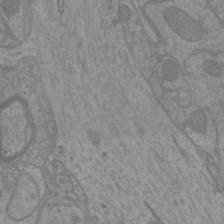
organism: Mouse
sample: Cortical neurons